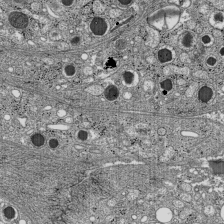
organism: C57BL Mouse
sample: Pancreatic islet